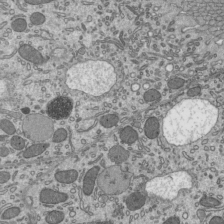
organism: Mouse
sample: Mouse epididymis efferent ductule cilia